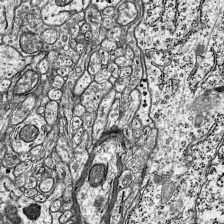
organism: Mouse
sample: Visual Cortex